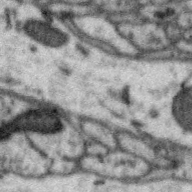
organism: Zebra finch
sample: Brain